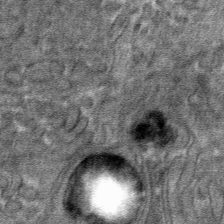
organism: Mouse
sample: Mouse hepatocytes